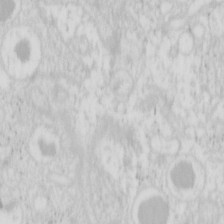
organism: Mouse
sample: Pancreas